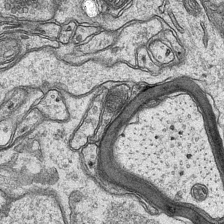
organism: Mouse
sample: CA1 Hippocampus